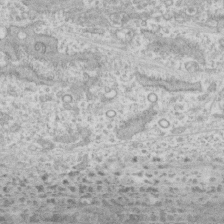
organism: Human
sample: CRL-1474